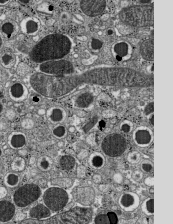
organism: C57BL Mouse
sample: Pancreatic islet